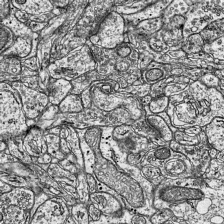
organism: Mouse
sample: Visual Cortex